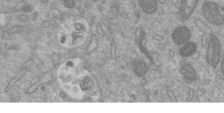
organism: Mouse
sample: ED-1 cell nuclei; centrioles